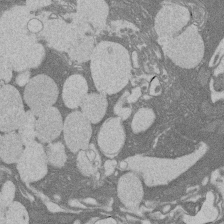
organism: Rat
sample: Salivary granule